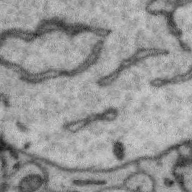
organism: Zebra finch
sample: Brain